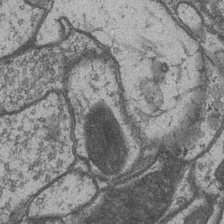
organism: Drosophila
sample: Optic medulla